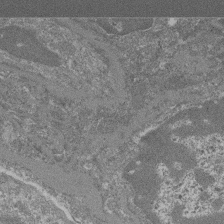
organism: Mouse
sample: Glomerulus